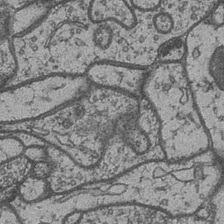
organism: Drosophila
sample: Optic medulla